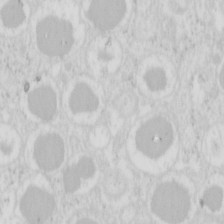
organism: Mouse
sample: Pancreas